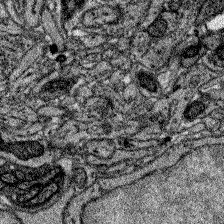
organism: Zebrafish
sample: Larval olfactory bulb